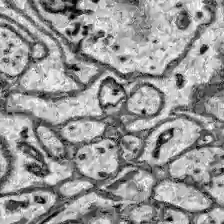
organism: Zebrafish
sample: Brain